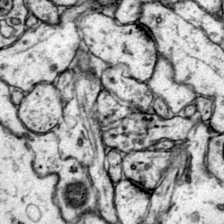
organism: Mouse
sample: Primary visual cortex